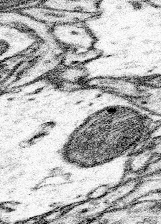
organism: Mouse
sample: Somatosensory cortex neuropil